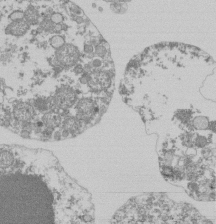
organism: Mouse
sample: Activated Pmel transgenic CD8+ T Cells